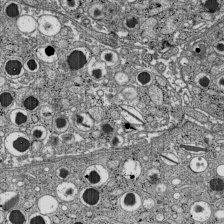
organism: C57BL Mouse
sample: Pancreatic islet